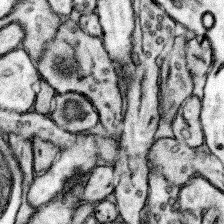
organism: Mouse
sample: Somatosensory cortex neuropil